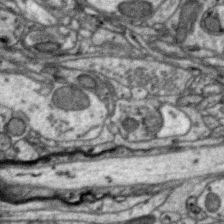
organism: Zebra finch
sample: Brain